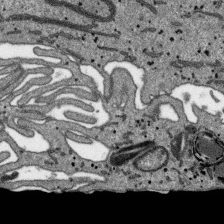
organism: Human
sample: Lung epithelial cells, uninfected (mock) control